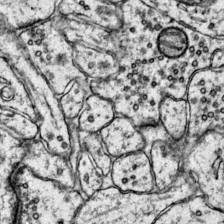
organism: Mouse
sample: Primary visual cortex